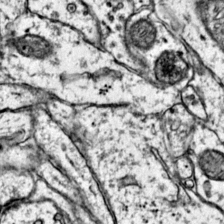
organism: Mouse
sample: Primary visual cortex